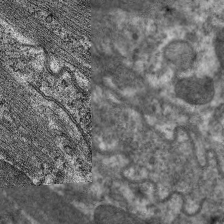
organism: C. elegans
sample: Pharynx